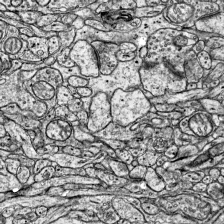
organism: Mouse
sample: Visual Cortex